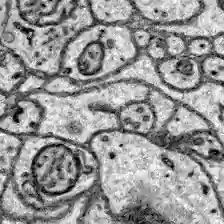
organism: Zebrafish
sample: Brain